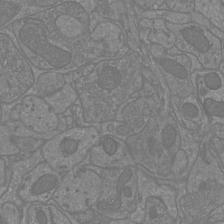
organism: Mouse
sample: Cortical neurons